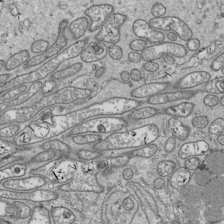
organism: Drosophila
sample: Cell division; meiosis; drosophila spermatocytes